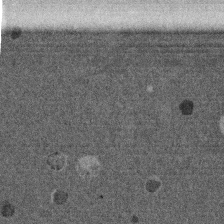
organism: Mouse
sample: Dividing mouse embryo 1 cell stage